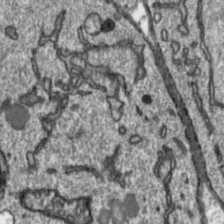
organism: Toxoplasma gondii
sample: Parasites in a vacuole inside a host cell